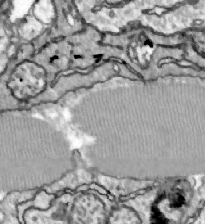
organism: Zebrafish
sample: Actinotrichia fibers